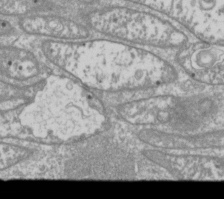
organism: Drosophila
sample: Cell division; meiosis; drosophila spermatocytes